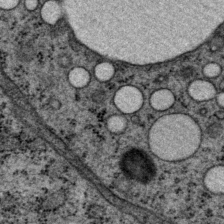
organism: P. pacificus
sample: Pharynx